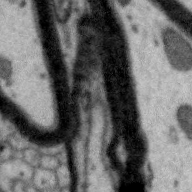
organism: Zebra finch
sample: Brain